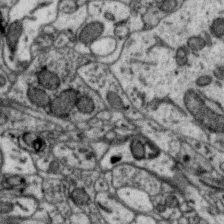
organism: Zebra finch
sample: Brain